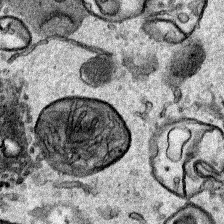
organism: Human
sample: Mitochondria in HCT116 cells